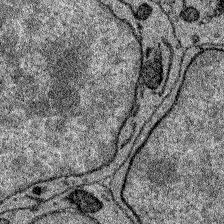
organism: Zebrafish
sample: Larval olfactory bulb